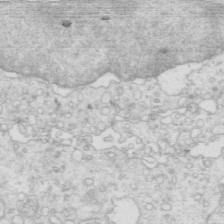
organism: Mouse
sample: Multiciliated cells